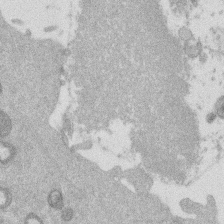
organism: Mouse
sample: Dividing mouse embryo 1 cell stage